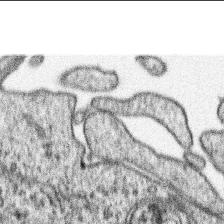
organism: Human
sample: HeLa cells